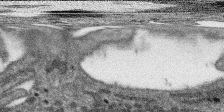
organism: Human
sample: Lung epithelial cells infected with SARS-CoV-2